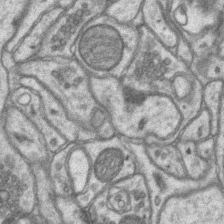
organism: Mouse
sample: CA1 Hippocampus